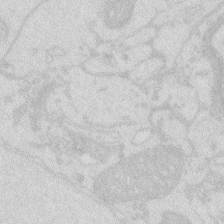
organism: Zebrafish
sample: Macrophage